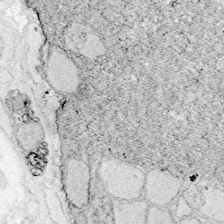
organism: Zebrafish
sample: Whole-Brain